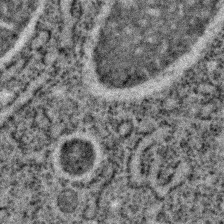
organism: C. elegans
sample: C. elegans embryo